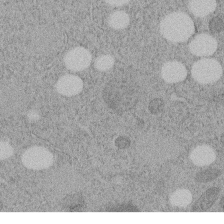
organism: C. elegans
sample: C. elegans embryo early stage